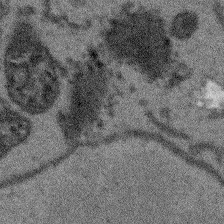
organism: Arabidopsis thaliana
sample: Root tip